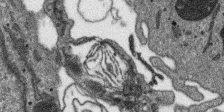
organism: Human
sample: Lung epithelial cells infected with SARS-CoV-2